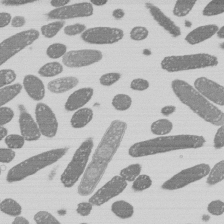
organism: E. coli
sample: Bacterial nucleoid